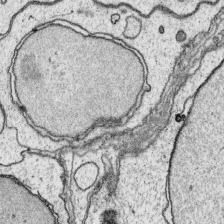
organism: Platynereis dumerilii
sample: Parapodia